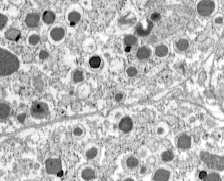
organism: C57BL Mouse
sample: Pancreatic islet